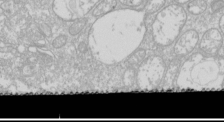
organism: Drosophila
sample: Cell division; meiosis; drosophila spermatocytes